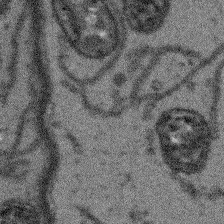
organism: Arabidopsis thaliana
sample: Root tip